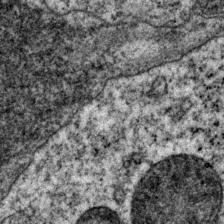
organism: P. pacificus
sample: Pharynx